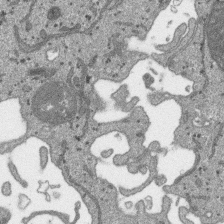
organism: Human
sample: Lung epithelial cells infected with SARS-CoV-2